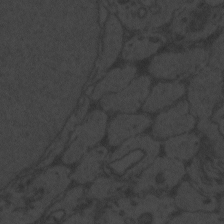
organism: Zebrafish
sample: Macrophage infected with Toxoplasma gondii